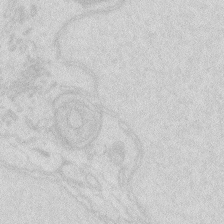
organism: Zebrafish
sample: Macrophage